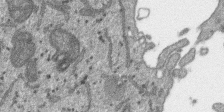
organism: Human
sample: Lung epithelial cells infected with SARS-CoV-2